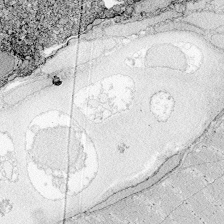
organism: Zebrafish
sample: Whole-Brain